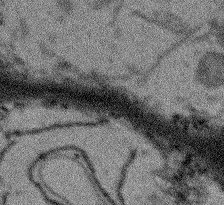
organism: Arabidopsis thaliana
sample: Root tip